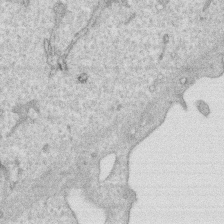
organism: Human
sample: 1205lu cells